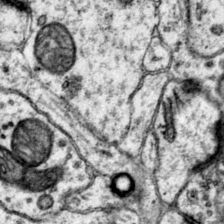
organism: Mouse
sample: Primary visual cortex